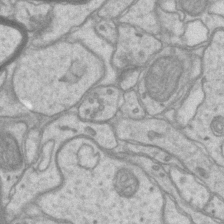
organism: Mouse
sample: CA1 Hippocampus